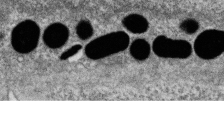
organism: Zebrafish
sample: Cilia; retinal pigment epithelium